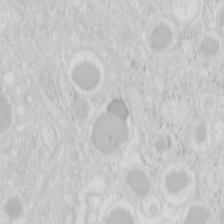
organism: Mouse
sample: Pancreas